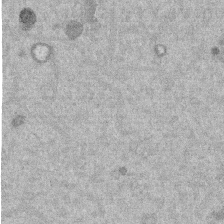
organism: Mouse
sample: Dividing mouse embryo 1 cell stage